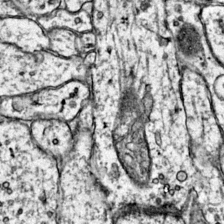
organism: Mouse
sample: Primary visual cortex